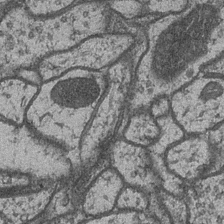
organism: Drosophila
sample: Optic medulla